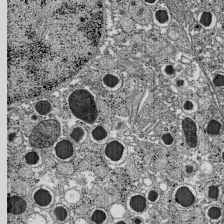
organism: C57BL Mouse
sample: Pancreatic islet